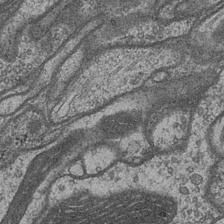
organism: Drosophila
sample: Optic medulla